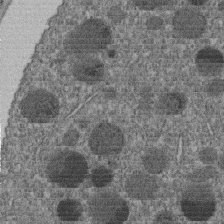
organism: C. elegans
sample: C. elegans embryo early stage